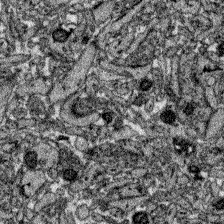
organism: Zebrafish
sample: Larval olfactory bulb